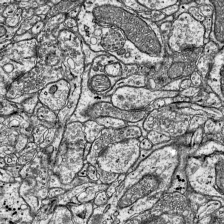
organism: Mouse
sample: Visual Cortex